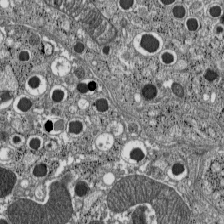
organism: C57BL Mouse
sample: Pancreatic islet